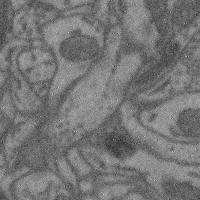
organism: Mouse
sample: Cerebral cortex